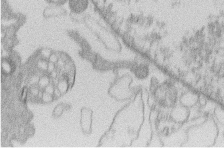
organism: Human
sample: Macrophage cells